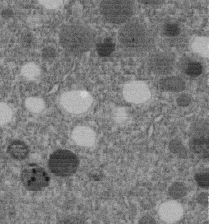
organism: C. elegans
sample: C. elegans embryo early stage